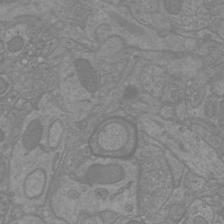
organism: Mouse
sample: Cortical neurons